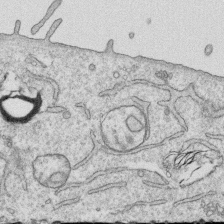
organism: Human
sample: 1205lu cells